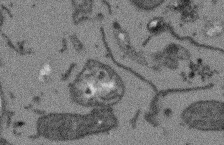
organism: Arabidopsis thaliana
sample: Root tip